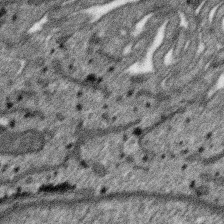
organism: Human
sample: Lung epithelial cells infected with SARS-CoV-2